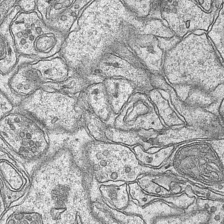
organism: Mouse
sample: CA1 Hippocampus